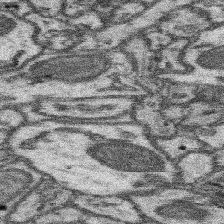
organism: Mouse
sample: Somatosensory cortex neuropil